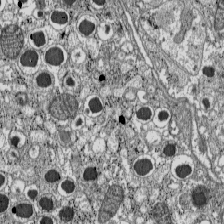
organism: C57BL Mouse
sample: Pancreatic islet